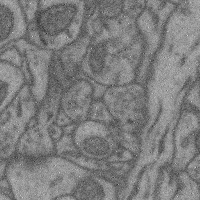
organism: Mouse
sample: Cerebral cortex